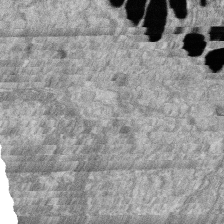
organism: Zebrafish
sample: Cilia; retinal pigment epithelium